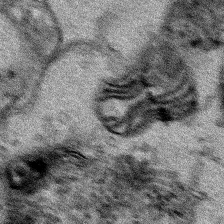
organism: Human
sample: Mitochondria in HCT116 cells